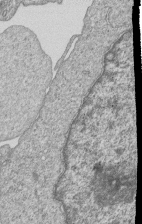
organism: Human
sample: MDA-MB-231 cells